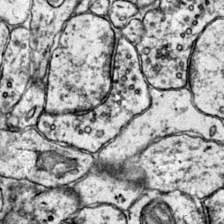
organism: Mouse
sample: Primary visual cortex